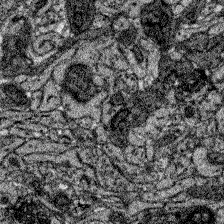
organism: Zebrafish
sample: Larval olfactory bulb